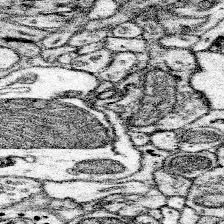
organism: Mouse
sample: Somatosensory cortex neuropil